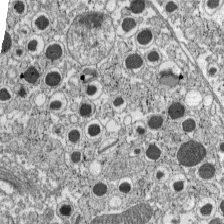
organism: C57BL Mouse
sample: Pancreatic islet